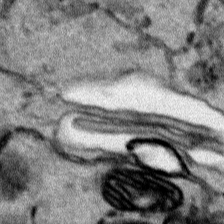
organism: Human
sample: Mitochondria in HCT116 cells